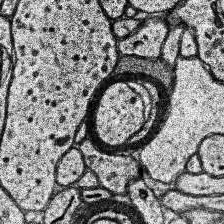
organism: Human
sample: Temporal Lobe